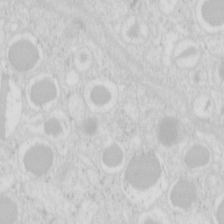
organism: Mouse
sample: Pancreas